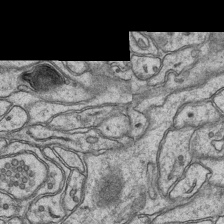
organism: Mouse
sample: CA1 Hippocampus